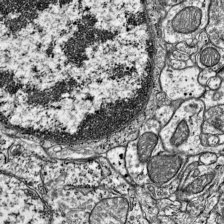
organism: Mouse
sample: Visual Cortex